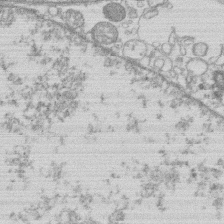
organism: Human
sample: Macrophage cells